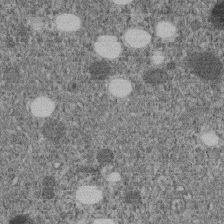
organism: C. elegans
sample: C. elegans embryo early stage